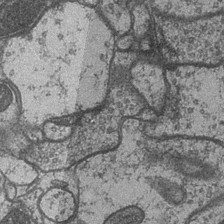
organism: Drosophila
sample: Optic medulla